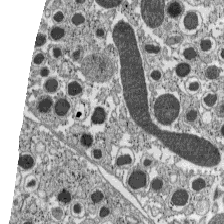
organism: C57BL Mouse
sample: Pancreatic islet